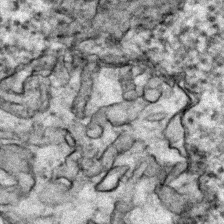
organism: Zebrafish